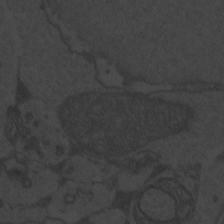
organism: Zebrafish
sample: Macrophage infected with Toxoplasma gondii